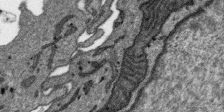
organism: Human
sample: Lung epithelial cells, uninfected (mock) control